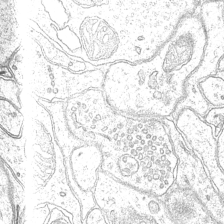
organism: Mouse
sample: CA1 Hippocampus